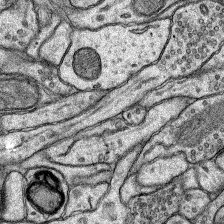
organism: Rat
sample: Hippocampus